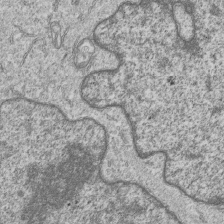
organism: Human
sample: MDA-MB-231 cells